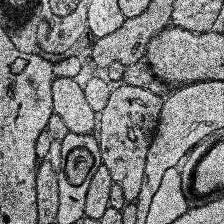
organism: Human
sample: Temporal Lobe